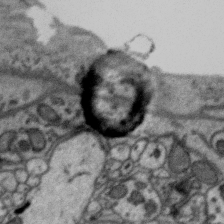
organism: Zebra finch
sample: Brain